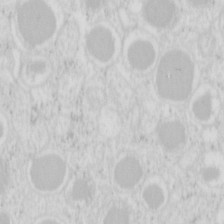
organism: Mouse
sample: Pancreas